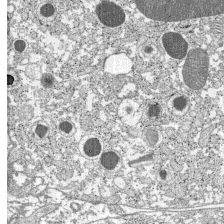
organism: C57BL Mouse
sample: Pancreatic islet